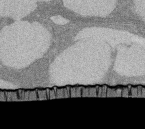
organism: Rat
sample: Salivary granule